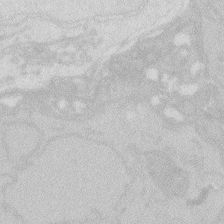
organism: Zebrafish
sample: Macrophage